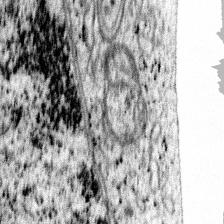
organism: Human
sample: HeLa cells